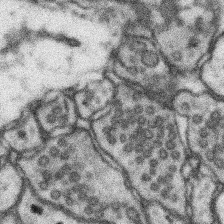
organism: Mouse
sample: Somatosensory cortex neuropil